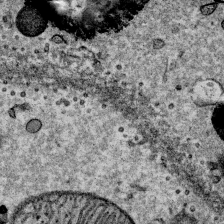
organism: Mouse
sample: Mouse Salivary gland